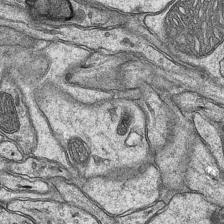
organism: Mouse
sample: CA1 Hippocampus